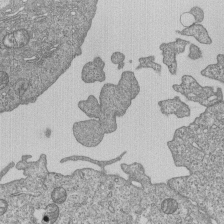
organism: Human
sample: MDA-MB-231 cells